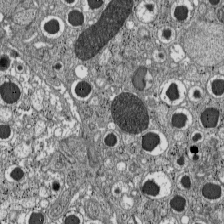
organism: C57BL Mouse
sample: Pancreatic islet